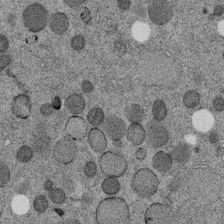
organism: C. elegans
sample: C. elegans embryo early stage